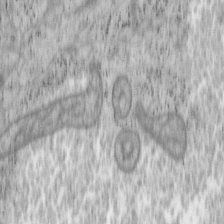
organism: Human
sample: HeLa cells